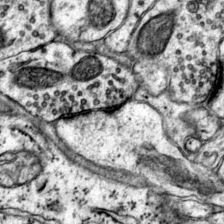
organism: Mouse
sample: Primary visual cortex